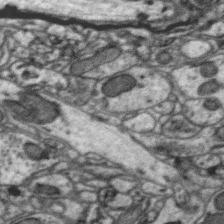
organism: Zebra finch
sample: Brain